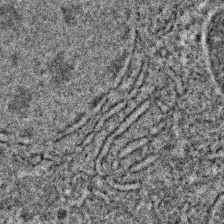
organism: C. elegans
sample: C. elegans embryo